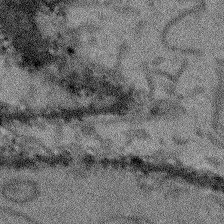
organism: Arabidopsis thaliana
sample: Root tip